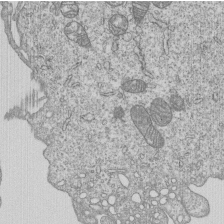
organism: Human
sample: MDA-MB-231 cells